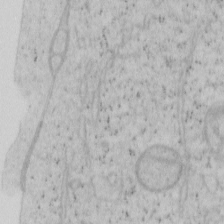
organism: Human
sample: HeLa cells